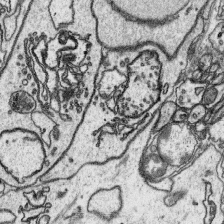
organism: Platynereis dumerilii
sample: Parapodia